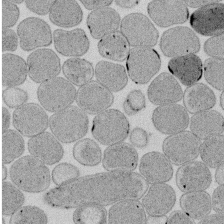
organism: E. coli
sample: Bacterial nucleoid